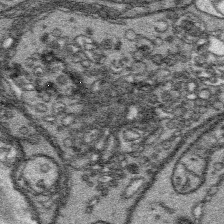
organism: Platynereis dumerilii